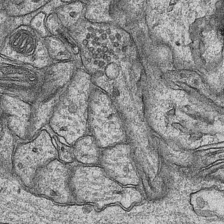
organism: Mouse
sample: CA1 Hippocampus